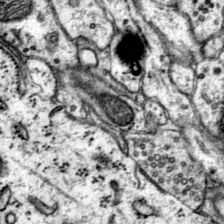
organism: Mouse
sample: Primary visual cortex